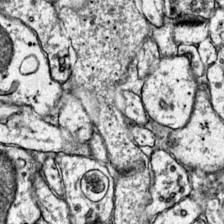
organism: Mouse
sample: Primary visual cortex